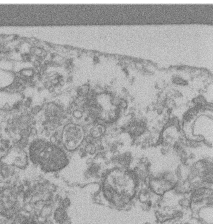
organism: Mouse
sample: T cell stromal cell synapse